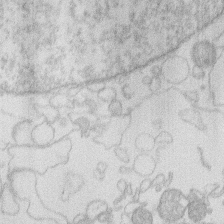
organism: Human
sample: Macrophage cells